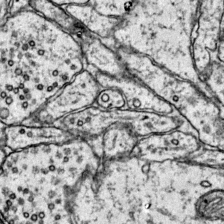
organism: Mouse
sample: Primary visual cortex